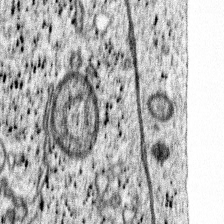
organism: Human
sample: HeLa cells